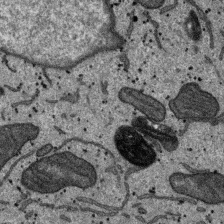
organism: Human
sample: Lung epithelial cells, uninfected (mock) control